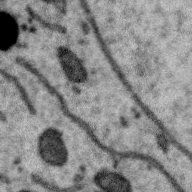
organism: Zebra finch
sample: Brain